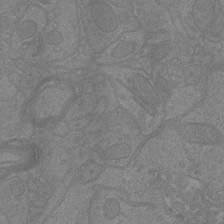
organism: Mouse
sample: Cortical neurons